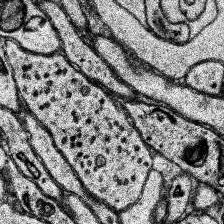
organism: Human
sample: Temporal Lobe